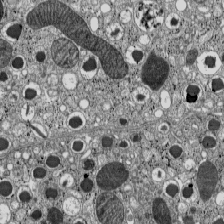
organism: C57BL Mouse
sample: Pancreatic islet